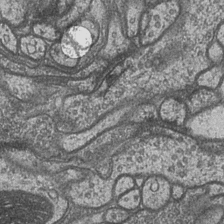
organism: Drosophila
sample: Optic medulla